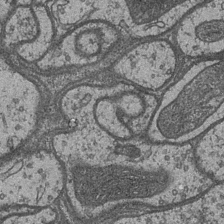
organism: Drosophila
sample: Optic medulla